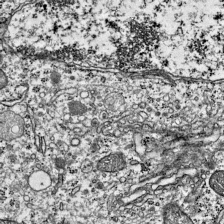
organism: Mouse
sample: Visual Cortex